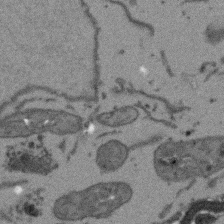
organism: Arabidopsis thaliana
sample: Root tip